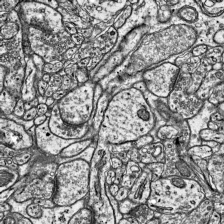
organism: Mouse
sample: Visual Cortex